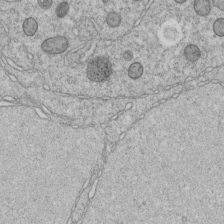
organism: C. elegans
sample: C. elegans embryo early stage